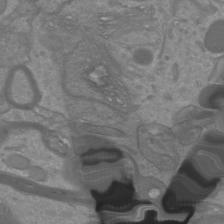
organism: Mouse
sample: Cortical neurons